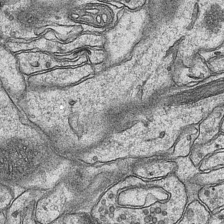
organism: Mouse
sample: CA1 Hippocampus